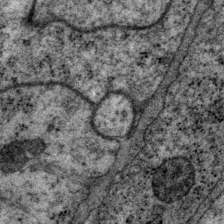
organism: P. pacificus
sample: Pharynx